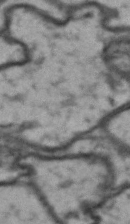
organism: Drosophila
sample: Brain